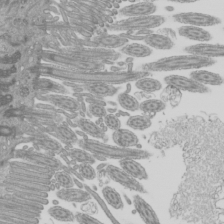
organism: Mouse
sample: Cilia; mouse epididymis